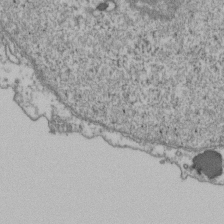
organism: Human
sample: Activated Jurkat CD4+ T cells